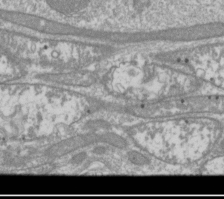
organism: Drosophila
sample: Cell division; meiosis; drosophila spermatocytes